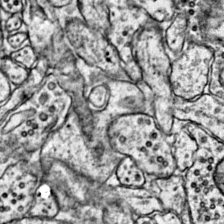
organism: Mouse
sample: Primary visual cortex